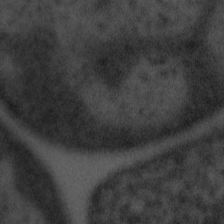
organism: Tuwongella immobilis